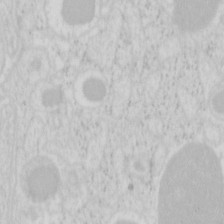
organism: Mouse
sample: Pancreas